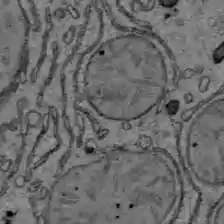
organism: C57BL Mouse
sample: Liver